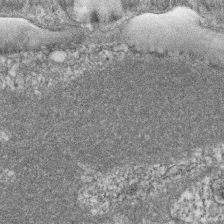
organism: Zebrafish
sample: Cilia; retinal pigment epithelium